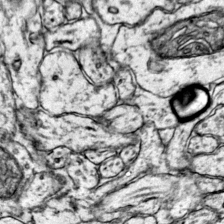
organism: Mouse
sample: Primary visual cortex